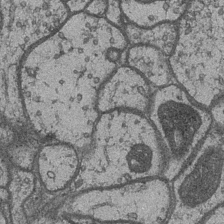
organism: Drosophila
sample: Optic medulla